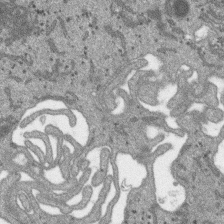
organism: Human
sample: Lung epithelial cells infected with SARS-CoV-2